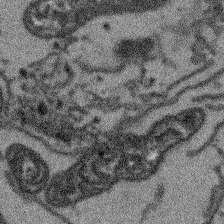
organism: Arabidopsis thaliana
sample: Root tip